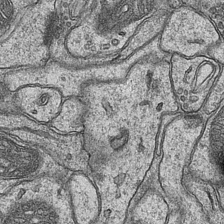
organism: Mouse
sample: CA1 Hippocampus